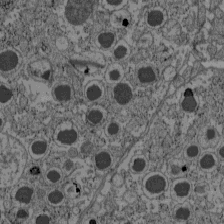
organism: C57BL Mouse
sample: Pancreatic islet